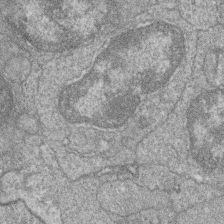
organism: Zebrafish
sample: Cilia; retinal pigment epithelium